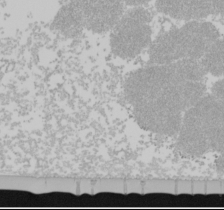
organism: Mouse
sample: Cancer cell death in ED-1 cells